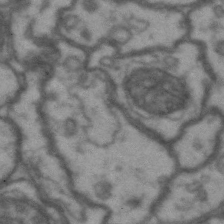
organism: Drosophila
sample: Brain